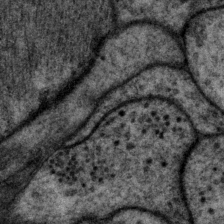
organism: P. pacificus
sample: Pharynx